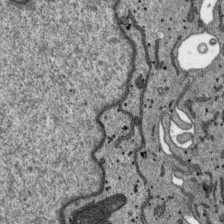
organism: Human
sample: Lung epithelial cells, uninfected (mock) control